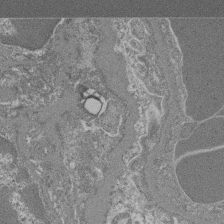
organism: Mouse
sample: Glomerulus